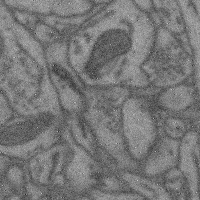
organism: Mouse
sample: Cerebral cortex